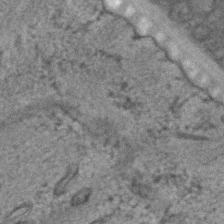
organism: C. elegans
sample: C. elegans embryo